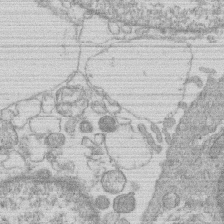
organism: Human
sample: Macrophage cells